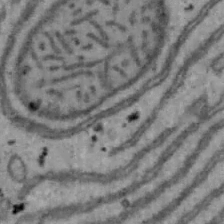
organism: Mouse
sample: Liver